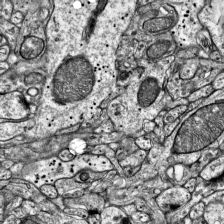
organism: Mouse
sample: Visual Cortex